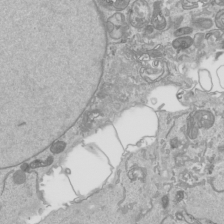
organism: Human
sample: Mitochondria in HCT116 cells